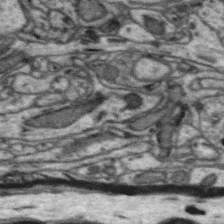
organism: Zebra finch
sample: Brain